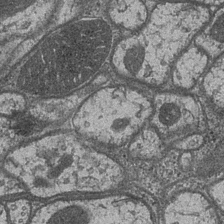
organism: Drosophila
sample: Optic medulla